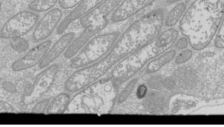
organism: Drosophila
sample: Cell division; meiosis; drosophila spermatocytes